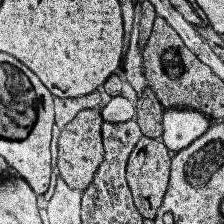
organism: Human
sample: Temporal Lobe